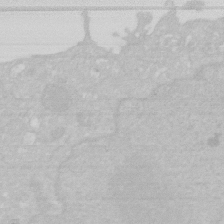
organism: Human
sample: HIV infected U937 cells